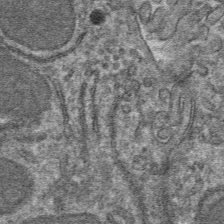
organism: Mouse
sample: Mouse hepatocytes